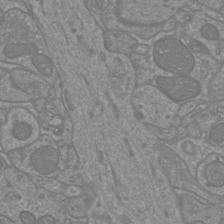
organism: Mouse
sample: Cortical neurons